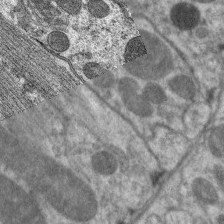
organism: C. elegans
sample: Pharynx